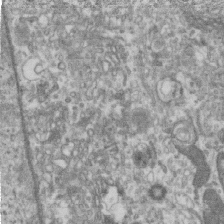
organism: Human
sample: Centriole in RPE cells